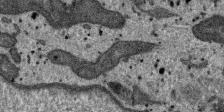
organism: Human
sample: Lung epithelial cells, uninfected (mock) control